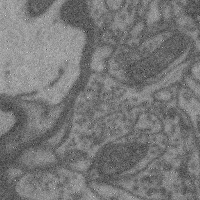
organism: Mouse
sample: Cerebral cortex